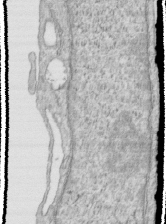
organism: Human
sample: Centriole in RPE cells